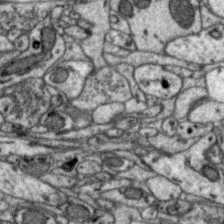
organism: Zebra finch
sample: Brain